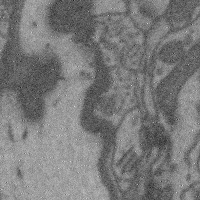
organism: Mouse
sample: Cerebral cortex